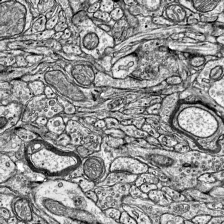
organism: Mouse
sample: Visual Cortex